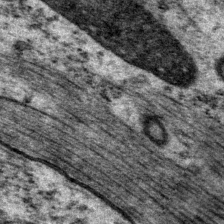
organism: P. pacificus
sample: Pharynx